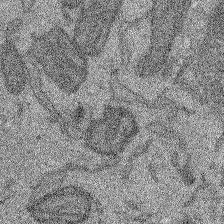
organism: Human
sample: HeLa cells